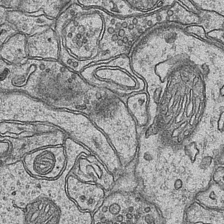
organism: Mouse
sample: CA1 Hippocampus